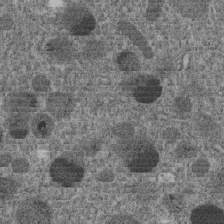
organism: C. elegans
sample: C. elegans embryo early stage